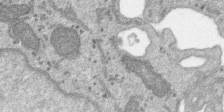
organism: Human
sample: Lung epithelial cells infected with SARS-CoV-2